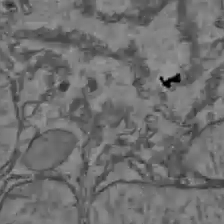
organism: C57BL Mouse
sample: Liver